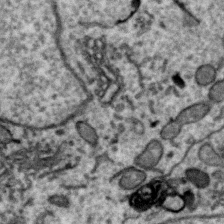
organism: Zebra finch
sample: Brain